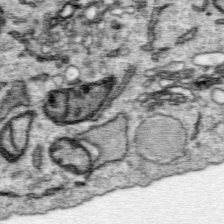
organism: Human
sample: HeLa cells